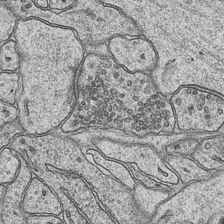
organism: Mouse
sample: CA1 Hippocampus